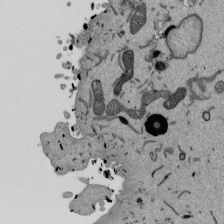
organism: Mouse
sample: ED-1 cell nuclei; centrioles